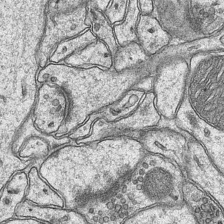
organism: Mouse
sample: CA1 Hippocampus